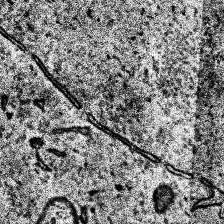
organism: Human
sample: Temporal Lobe